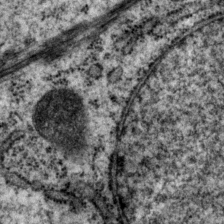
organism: P. pacificus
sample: Pharynx